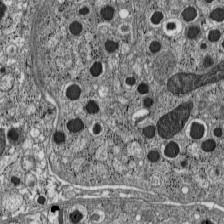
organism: C57BL Mouse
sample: Pancreatic islet